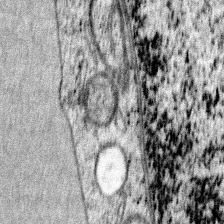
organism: Human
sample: HeLa cells